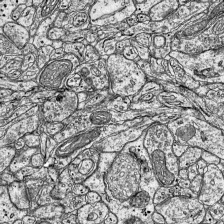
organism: Mouse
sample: Visual Cortex